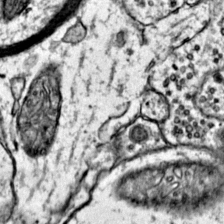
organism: Mouse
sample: Primary visual cortex